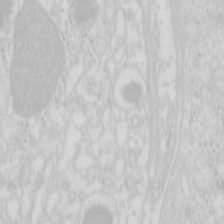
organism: Mouse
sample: Pancreas